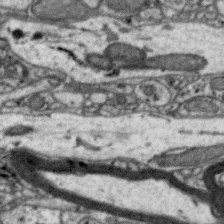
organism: Zebra finch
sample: Brain